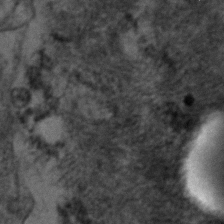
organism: Human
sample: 1205lu cells